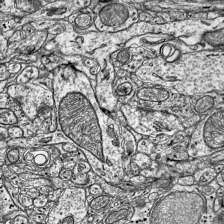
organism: Mouse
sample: Visual Cortex